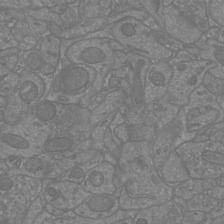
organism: Mouse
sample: Cortical neurons